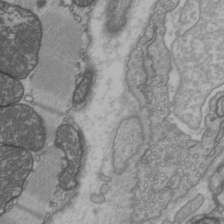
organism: C57BL Mouse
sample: Heart